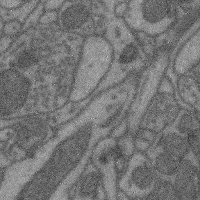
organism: Mouse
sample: Cerebral cortex